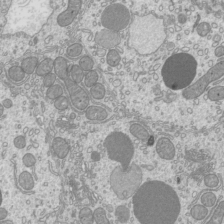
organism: Mouse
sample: Cilia; mouse epididymis